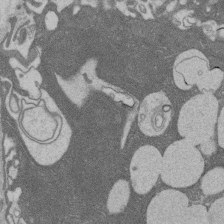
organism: Rat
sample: Salivary granule